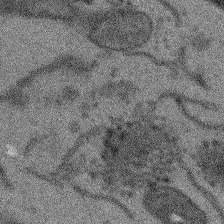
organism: Arabidopsis thaliana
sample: Root tip